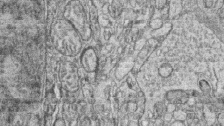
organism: Zebrafish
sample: synaptic ribbons in rod cells and cone cells